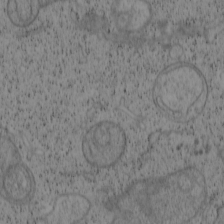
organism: African green monkey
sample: COS-7 cells